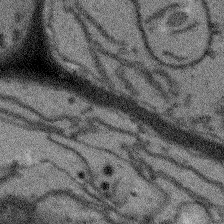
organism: Arabidopsis thaliana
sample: Root tip